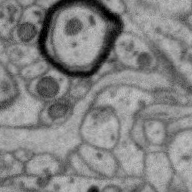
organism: Zebra finch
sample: Brain